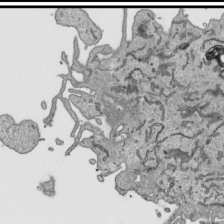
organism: Human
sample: Mitochondria in HCT116 cells